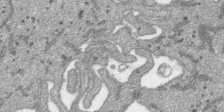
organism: Human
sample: Lung epithelial cells infected with SARS-CoV-2